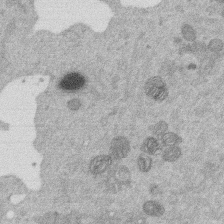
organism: Mouse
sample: Dividing mouse embryo 1 cell stage